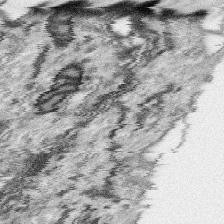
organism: Human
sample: HeLa cells